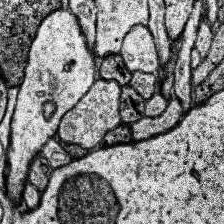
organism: Human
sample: Temporal Lobe